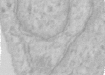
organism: Human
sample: Centriole in RPE cells